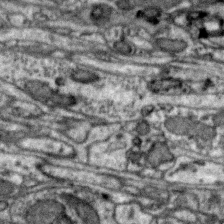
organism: Zebra finch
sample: Brain